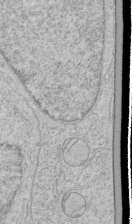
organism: Human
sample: Mitochondria in HCT116 cells